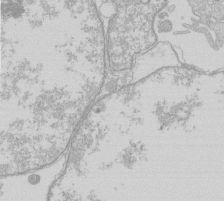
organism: Human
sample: Macrophage cells